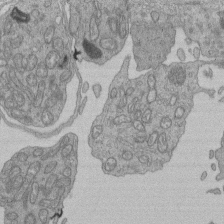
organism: Human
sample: Retinal organoid Rod and Cone cells